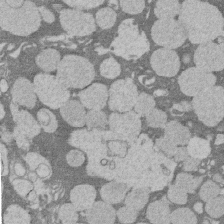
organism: Rat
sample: Salivary granule